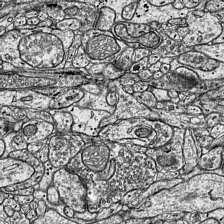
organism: Mouse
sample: Visual Cortex